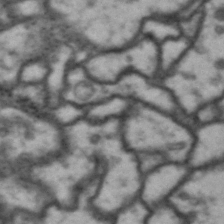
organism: Drosophila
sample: Brain